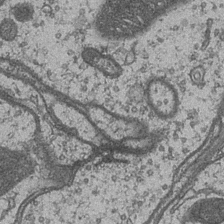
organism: Drosophila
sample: Optic medulla